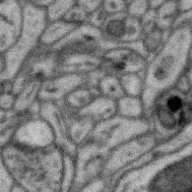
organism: Zebra finch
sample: Brain